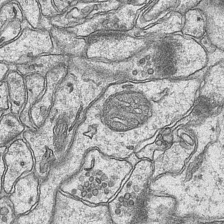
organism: Mouse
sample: CA1 Hippocampus